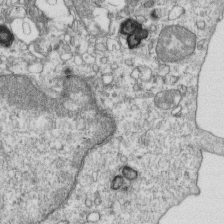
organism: Mouse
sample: Activated OT-1 CD8+ T cells